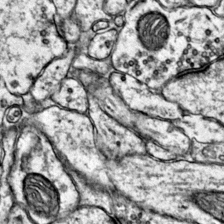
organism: Mouse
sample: Primary visual cortex